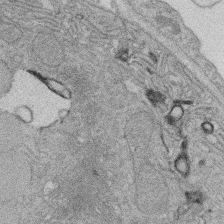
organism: Rat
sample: Salivary granule